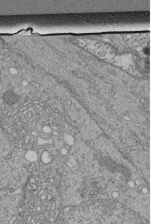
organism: Human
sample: Retinal organoid Rod and Cone cells